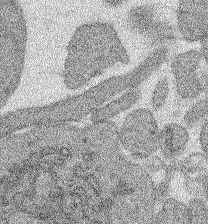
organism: Human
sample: HeLa cells